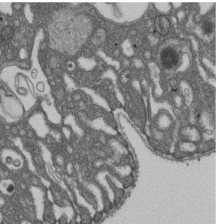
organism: Drosophila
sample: Nephrocyte